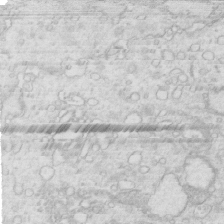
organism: Mouse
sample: Multiciliated cells